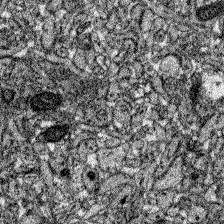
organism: Zebrafish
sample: Larval olfactory bulb